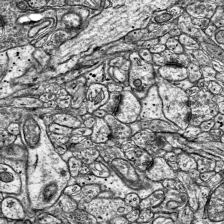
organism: Mouse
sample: Visual Cortex